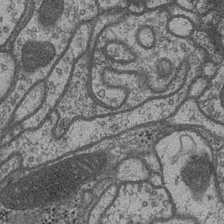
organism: Drosophila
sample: Optic medulla